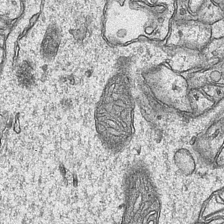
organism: Mouse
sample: CA1 Hippocampus